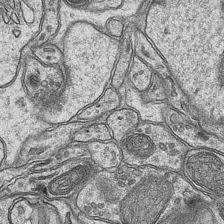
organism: Mouse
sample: CA1 Hippocampus